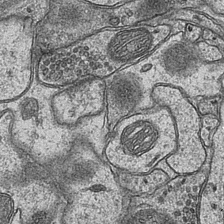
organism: Mouse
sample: CA1 Hippocampus